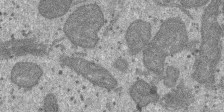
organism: Human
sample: Lung epithelial cells infected with SARS-CoV-2